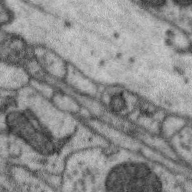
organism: Zebra finch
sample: Brain